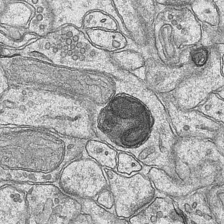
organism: Mouse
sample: CA1 Hippocampus